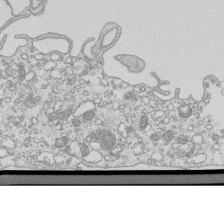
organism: Mouse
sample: Macrophages